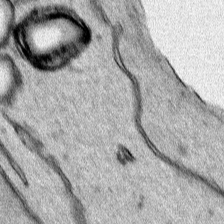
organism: Human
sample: Mitochondria in HCT116 cells